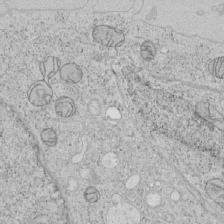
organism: Human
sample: Mitochondria in HCT116 cells